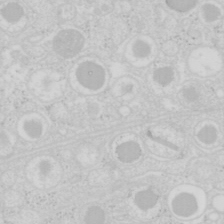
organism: Mouse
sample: Pancreas